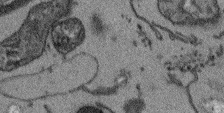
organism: Arabidopsis thaliana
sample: Root tip